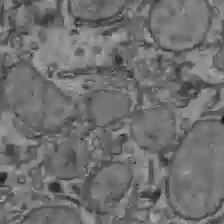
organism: C57BL Mouse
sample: Liver